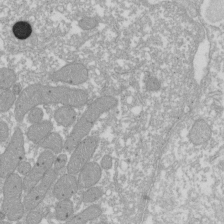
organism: Xenopus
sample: Cilia; centrioles in frog embryo cells